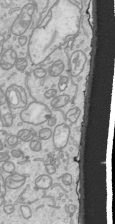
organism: Human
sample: Mitochondria in HCT116 cells